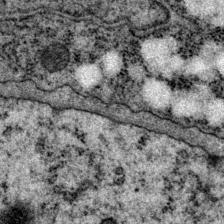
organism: P. pacificus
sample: Pharynx